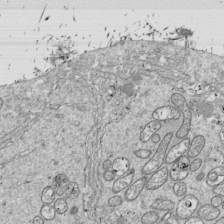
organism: Drosophila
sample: Cell division; meiosis; drosophila spermatocytes